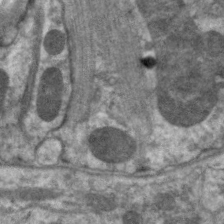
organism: C. elegans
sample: Pharynx